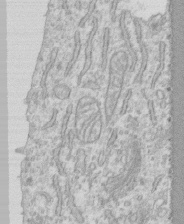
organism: Human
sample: CRL-1474